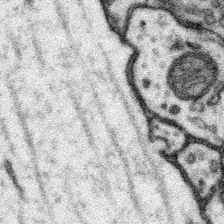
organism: Mouse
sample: Somatosensory cortex neuropil